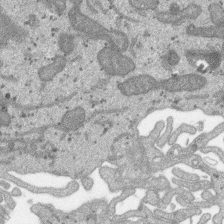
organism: Human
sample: Lung epithelial cells infected with SARS-CoV-2